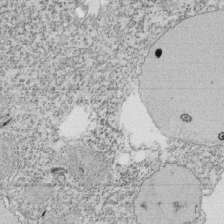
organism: Tetrahymena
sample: Cilia in tetrahymena